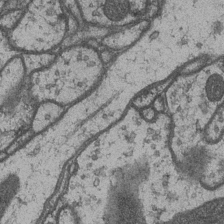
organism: Drosophila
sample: Optic medulla